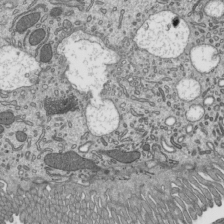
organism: Mouse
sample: Mouse epididymis efferent ductule cilia